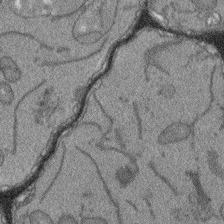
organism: Arabidopsis thaliana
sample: Root tip